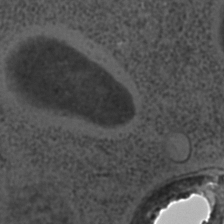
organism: C. elegans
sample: C. elegans embryo